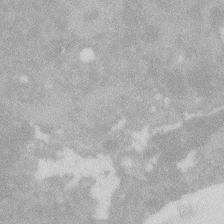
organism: Zebrafish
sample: Macrophage